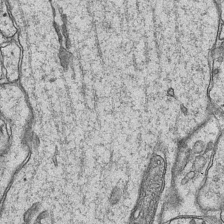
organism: Mouse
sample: CA1 Hippocampus